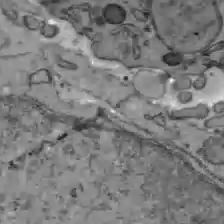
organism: C57BL Mouse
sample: Liver